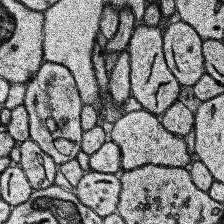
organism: Human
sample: Temporal Lobe